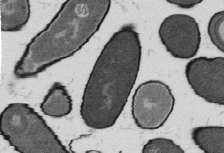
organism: B. subtilis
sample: Bacterial spore